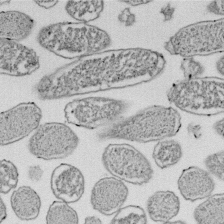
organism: E. coli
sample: Bacterial nucleoid